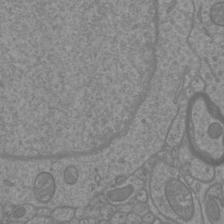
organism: Mouse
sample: Cortical neurons